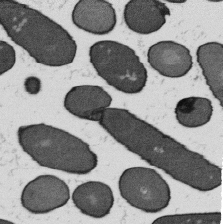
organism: B. subtilis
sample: Bacterial spore